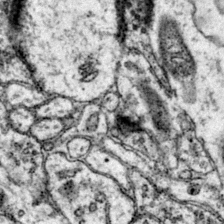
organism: Mouse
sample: Primary visual cortex